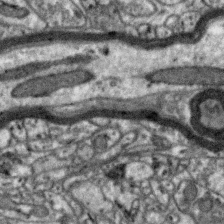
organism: Zebra finch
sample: Brain